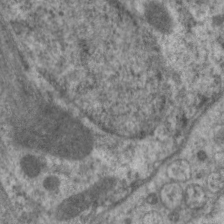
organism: C. elegans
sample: Pharynx